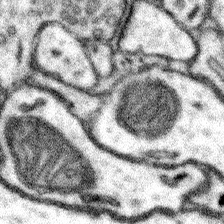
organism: Mouse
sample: Somatosensory cortex neuropil